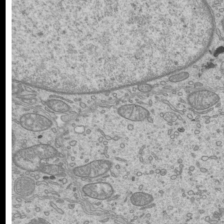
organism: Mouse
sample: Cilia; mouse epididymis